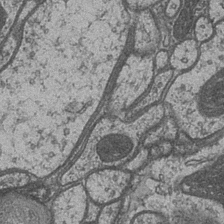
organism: Drosophila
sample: Optic medulla